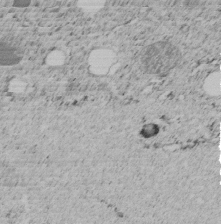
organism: C. elegans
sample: C. elegans embryo early stage